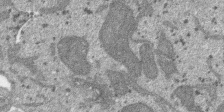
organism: Human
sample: Lung epithelial cells infected with SARS-CoV-2